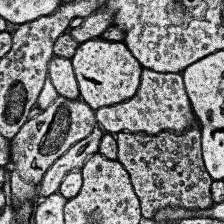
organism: Human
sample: Temporal Lobe